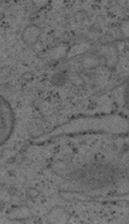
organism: Human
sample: HeLa cells